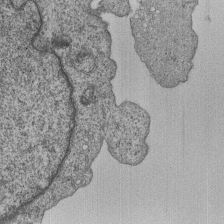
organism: Human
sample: MDA-MB-231 cells